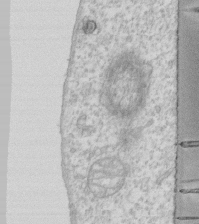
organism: Human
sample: Fibroblast cells